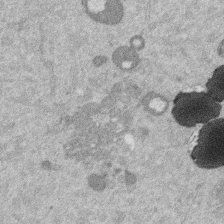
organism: Mouse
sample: Dividing mouse embryo 1 cell stage